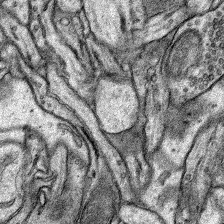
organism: Rat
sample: Hippocampus